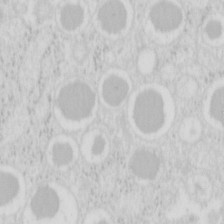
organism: Mouse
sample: Pancreas